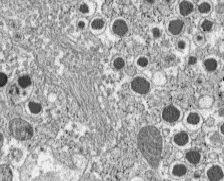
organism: C57BL Mouse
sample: Pancreatic islet